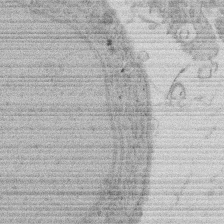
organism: Rat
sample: Salivary granule